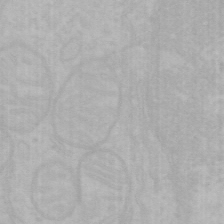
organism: Mouse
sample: Choroid plexus